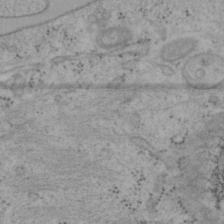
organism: Human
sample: HeLa cells